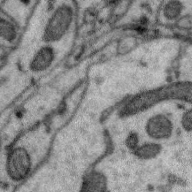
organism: Zebra finch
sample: Brain